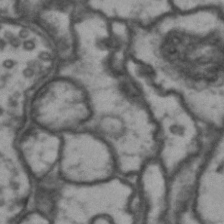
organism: Drosophila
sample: Brain